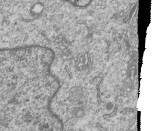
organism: Human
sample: MDA-MB-231 cells